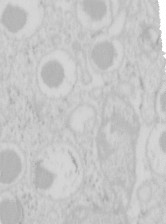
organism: Mouse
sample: Pancreas